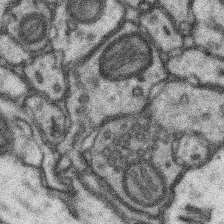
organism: Mouse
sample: Somatosensory cortex neuropil